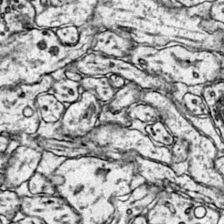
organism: Mouse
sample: Primary visual cortex